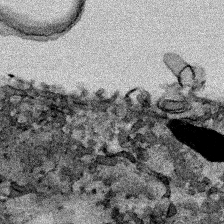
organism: Human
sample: Mitochondria in HCT116 cells